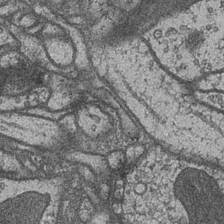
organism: Drosophila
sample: Optic medulla